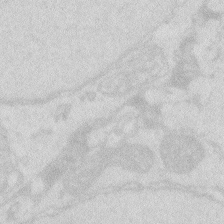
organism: Zebrafish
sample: Macrophage